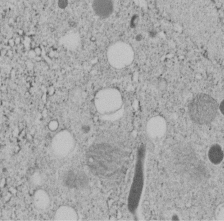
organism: C. elegans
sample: C. elegans embryo early stage